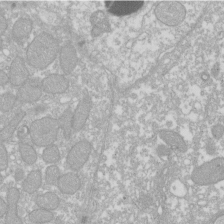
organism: Xenopus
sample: Cilia; centrioles in frog embryo cells